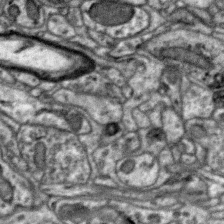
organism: Zebra finch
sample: Brain